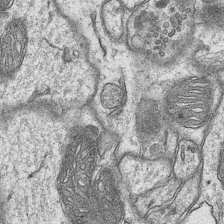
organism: Mouse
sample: CA1 Hippocampus